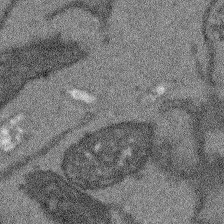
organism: Arabidopsis thaliana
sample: Root tip